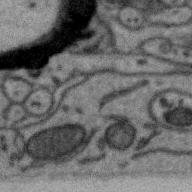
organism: Zebra finch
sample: Brain